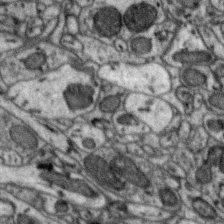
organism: Zebra finch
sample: Brain